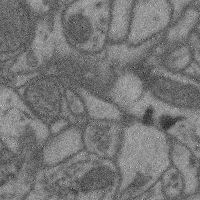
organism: Mouse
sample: Cerebral cortex